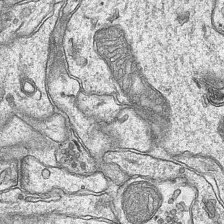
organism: Mouse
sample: CA1 Hippocampus